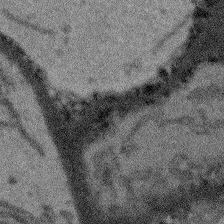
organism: Arabidopsis thaliana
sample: Root tip